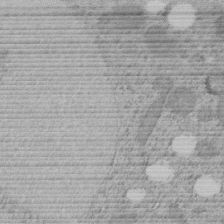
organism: C. elegans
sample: C. elegans embryo early stage